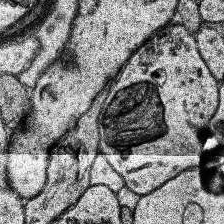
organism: Human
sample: Temporal Lobe